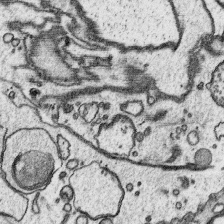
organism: Platynereis dumerilii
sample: Parapodia